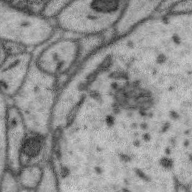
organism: Zebra finch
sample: Brain